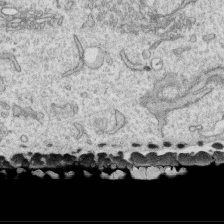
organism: Human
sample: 1205lu cells